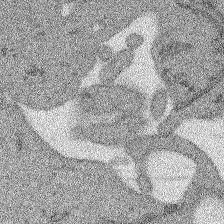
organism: Human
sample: HeLa cells